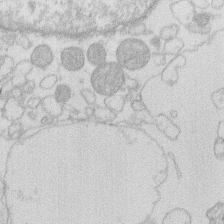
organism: Human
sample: Macrophage cells